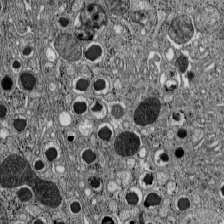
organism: C57BL Mouse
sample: Pancreatic islet